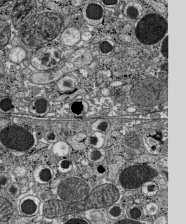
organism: C57BL Mouse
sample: Pancreatic islet